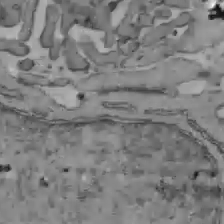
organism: C57BL Mouse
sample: Liver